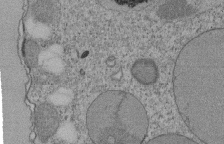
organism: Tetrahymena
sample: Cilia in tetrahymena